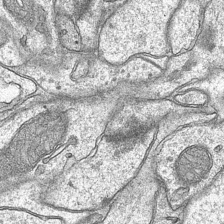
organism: Mouse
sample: CA1 Hippocampus